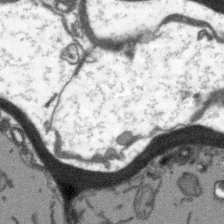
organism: Arabidopsis thaliana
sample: Root tip